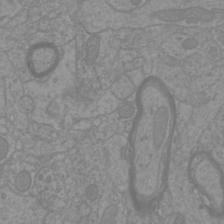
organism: Mouse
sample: Cortical neurons